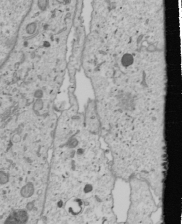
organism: Human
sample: Mitochondria in U2OS cells